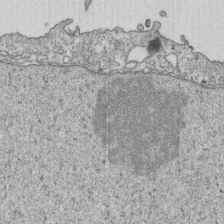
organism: Human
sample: HeLa cell HIV synapse